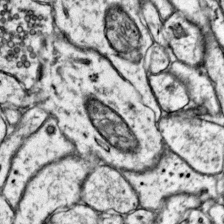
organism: Mouse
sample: Primary visual cortex